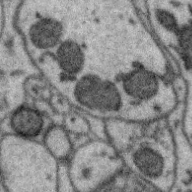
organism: Zebra finch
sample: Brain